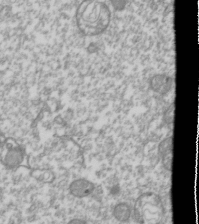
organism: Drosophila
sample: Cell division; meiosis; drosophila spermatocytes